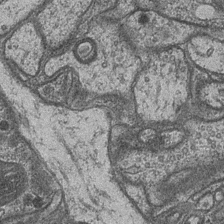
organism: Drosophila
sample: Optic medulla